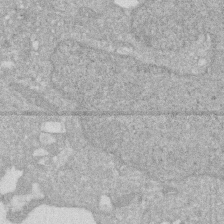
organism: Human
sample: HIV infected U937 cells